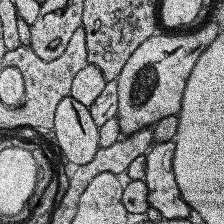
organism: Human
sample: Temporal Lobe